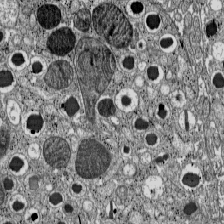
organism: C57BL Mouse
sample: Pancreatic islet